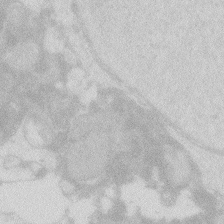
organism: Zebrafish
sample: Macrophage